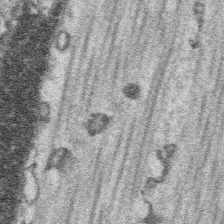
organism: Platynereis dumerilii